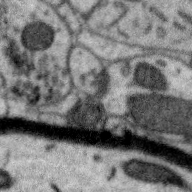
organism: Zebra finch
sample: Brain